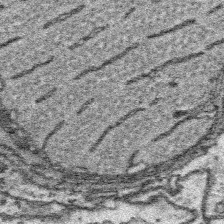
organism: Platynereis dumerilii